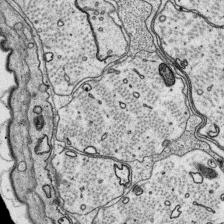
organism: Platynereis dumerilii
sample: Parapodia